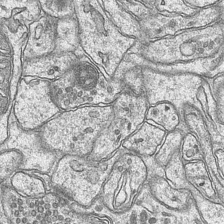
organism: Mouse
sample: CA1 Hippocampus